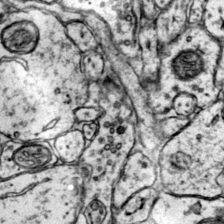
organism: Mouse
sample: Primary visual cortex